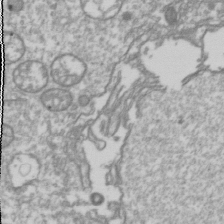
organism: Drosophila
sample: Cell division; meiosis; drosophila spermatocytes